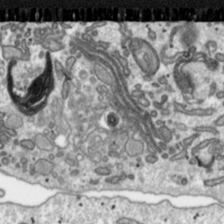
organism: Toxoplasma gondii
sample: Parasites in a vacuole inside a host cell